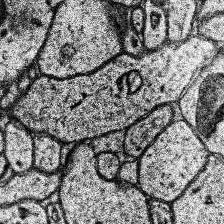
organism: Human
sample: Temporal Lobe